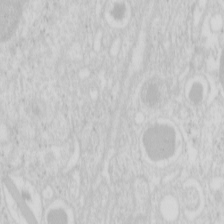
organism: Mouse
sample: Pancreas